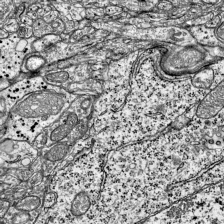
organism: Mouse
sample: Visual Cortex